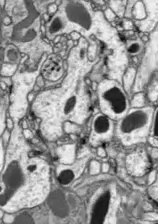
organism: Drosophila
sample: Optic lobe